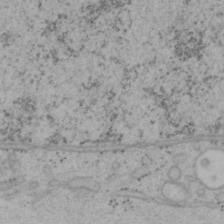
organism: Human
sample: HeLa cells